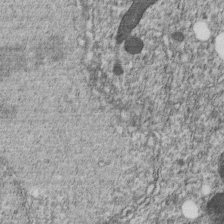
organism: C. elegans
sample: C. elegans embryo early stage